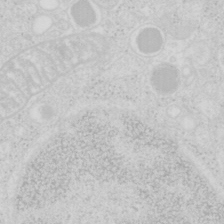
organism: Mouse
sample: Pancreas